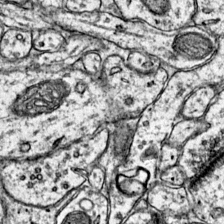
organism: Mouse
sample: Primary visual cortex